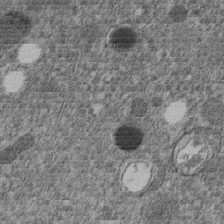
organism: C. elegans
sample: C. elegans embryo early stage